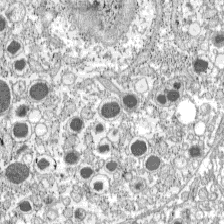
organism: C57BL Mouse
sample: Pancreatic islet